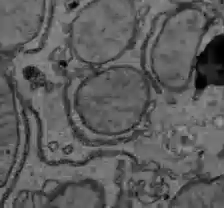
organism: C57BL Mouse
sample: Liver